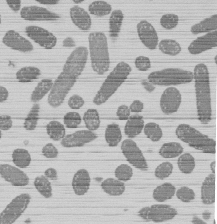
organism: E. coli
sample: Bacterial nucleoid